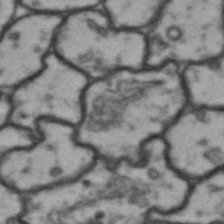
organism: Drosophila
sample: Brain